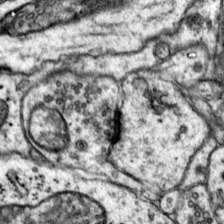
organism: Mouse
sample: Primary visual cortex